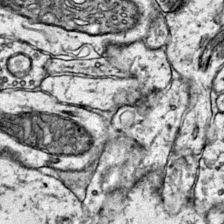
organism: Mouse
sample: Primary visual cortex